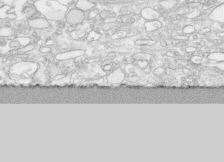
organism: Human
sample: CRL-1474